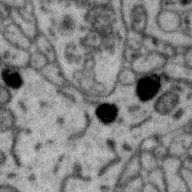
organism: Zebra finch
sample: Brain